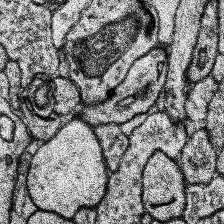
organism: Human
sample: Temporal Lobe